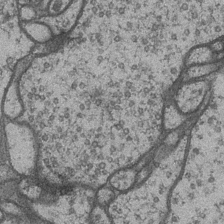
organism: Drosophila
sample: Optic medulla